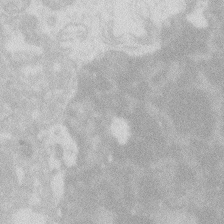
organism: Zebrafish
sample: Macrophage